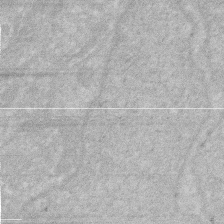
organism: Human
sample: HIV infected U937 cells